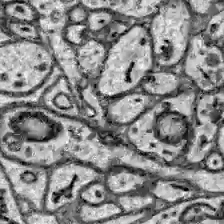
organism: Zebrafish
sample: Brain